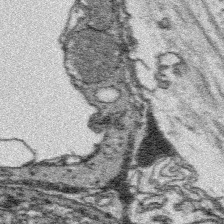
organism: Platynereis dumerilii